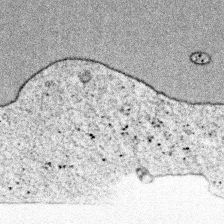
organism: Human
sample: HeLa cells